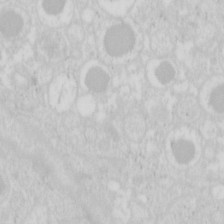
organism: Mouse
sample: Pancreas